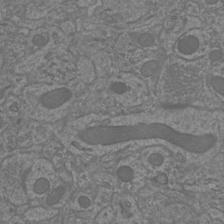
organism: Mouse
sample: Cortical neurons